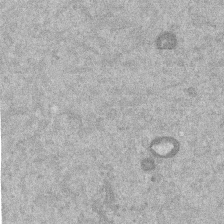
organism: Mouse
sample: Dividing mouse embryo 1 cell stage